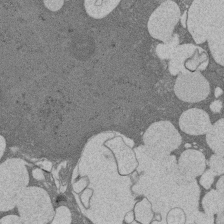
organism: Rat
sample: Salivary granule